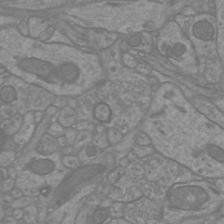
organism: Mouse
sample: Cortical neurons